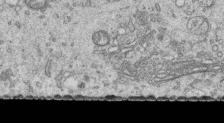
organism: Human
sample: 1205lu cells